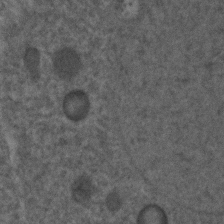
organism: C. elegans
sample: C. elegans embryo